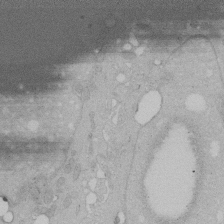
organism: Human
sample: Melanocyte Keratinocyte synapse skin construct